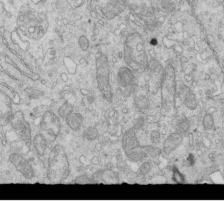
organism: Mouse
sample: Multiciliated cells